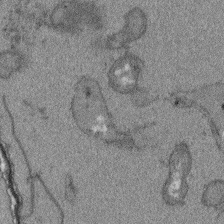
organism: Arabidopsis thaliana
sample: Root tip